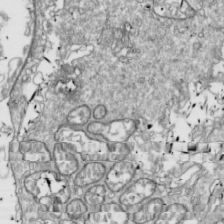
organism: Drosophila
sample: Cell division; meiosis; drosophila spermatocytes